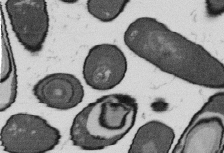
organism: B. subtilis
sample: Bacterial spore